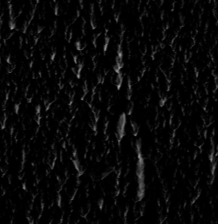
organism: Toxoplasma gondii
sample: Parasites in a vacuole inside a host cell